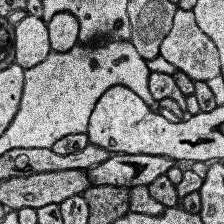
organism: Human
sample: Temporal Lobe